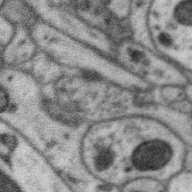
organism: Zebra finch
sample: Brain